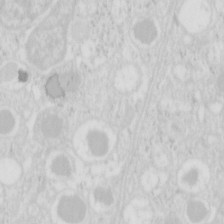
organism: Mouse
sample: Pancreas